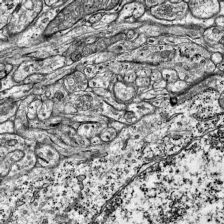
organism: Mouse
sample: Visual Cortex